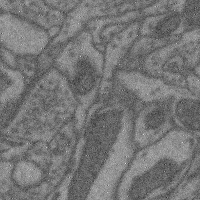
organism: Mouse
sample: Cerebral cortex